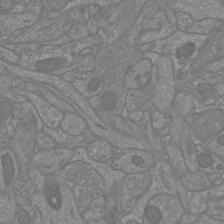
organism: Mouse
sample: Cortical neurons